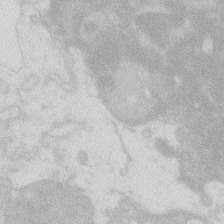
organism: Zebrafish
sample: Macrophage